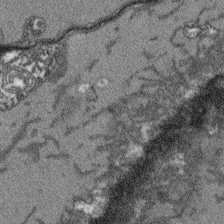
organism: Arabidopsis thaliana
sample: Root tip